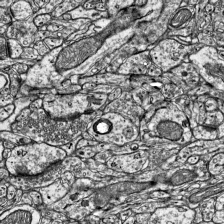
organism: Mouse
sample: Visual Cortex